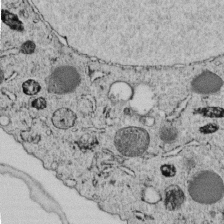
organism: C. elegans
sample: C. elegans embryo early stage